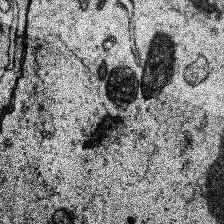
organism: Human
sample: Temporal Lobe